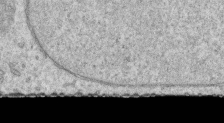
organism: Human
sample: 1205lu cells